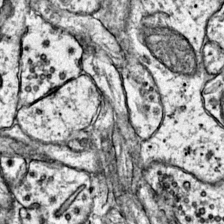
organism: Mouse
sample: Primary visual cortex